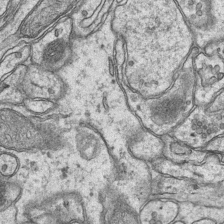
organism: Mouse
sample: CA1 Hippocampus